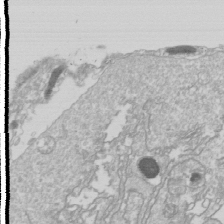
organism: Drosophila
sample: Cell division; meiosis; drosophila spermatocytes